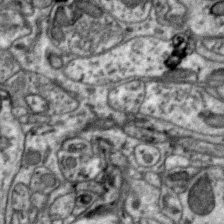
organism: Zebra finch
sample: Brain